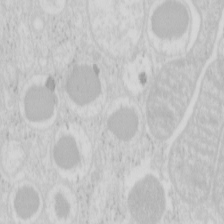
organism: Mouse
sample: Pancreas